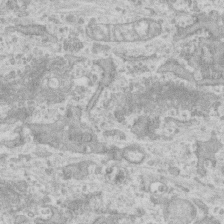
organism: Human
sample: CRL-1474